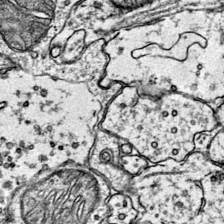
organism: Mouse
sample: Primary visual cortex